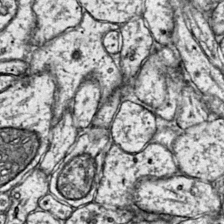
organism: Mouse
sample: Primary visual cortex